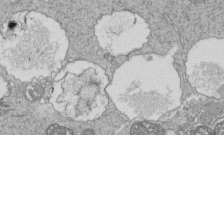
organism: Tetrahymena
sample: Cilia in tetrahymena